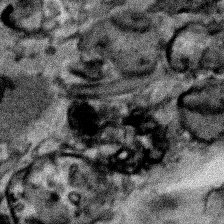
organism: Human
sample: Mitochondria in HCT116 cells